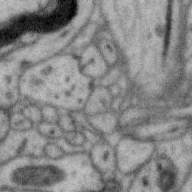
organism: Zebra finch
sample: Brain